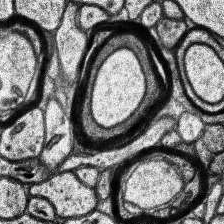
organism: Human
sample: Temporal Lobe